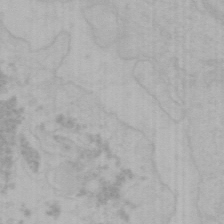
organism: Mouse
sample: Choroid plexus